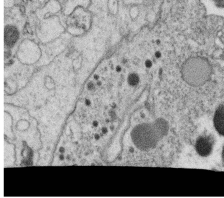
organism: C. elegans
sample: C. elegans oocyte; sperm cells